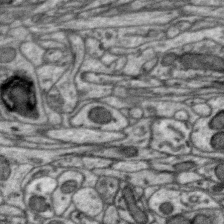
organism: Zebra finch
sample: Brain